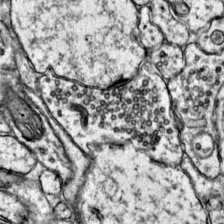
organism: Mouse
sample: Primary visual cortex